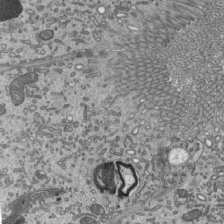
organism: Mouse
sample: Mouse epididymis efferent ductule cilia